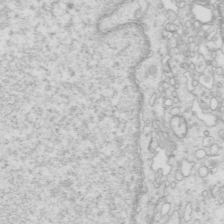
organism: Mouse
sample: Multiciliated cells